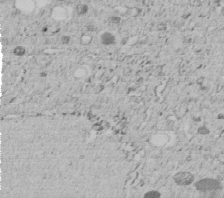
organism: C. elegans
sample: C. elegans embryo early stage